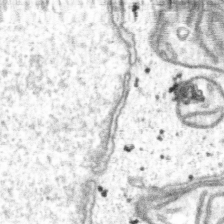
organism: Human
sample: HeLa cells